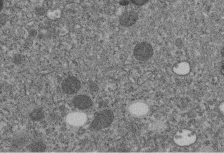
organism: C. elegans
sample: C. elegans embryo early stage